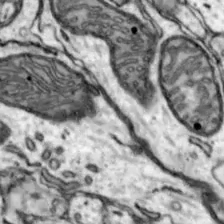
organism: Mouse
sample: Nucleus accumbens